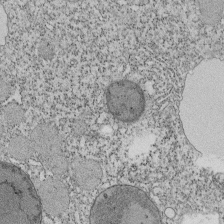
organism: Tetrahymena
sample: Cilia in tetrahymena